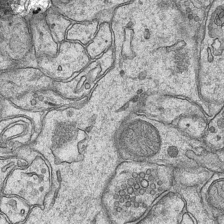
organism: Mouse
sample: CA1 Hippocampus